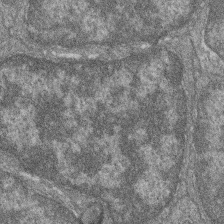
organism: Zebrafish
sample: Cilia; retinal pigment epithelium